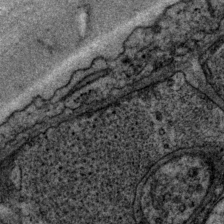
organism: P. pacificus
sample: Pharynx